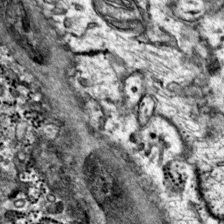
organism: Mouse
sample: Primary visual cortex